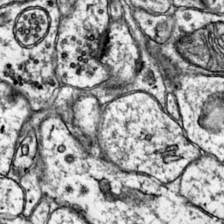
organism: Mouse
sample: Primary visual cortex